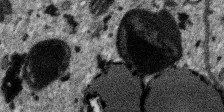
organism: Human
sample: Lung epithelial cells infected with SARS-CoV-2